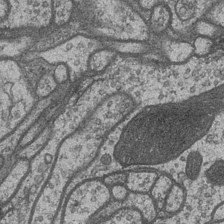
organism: Drosophila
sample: Optic medulla